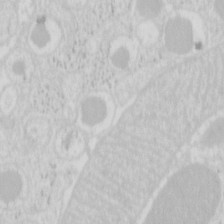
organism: Mouse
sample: Pancreas